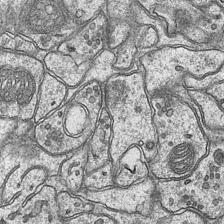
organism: Mouse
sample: CA1 Hippocampus